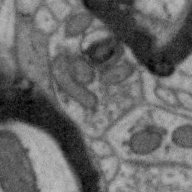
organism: Zebra finch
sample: Brain